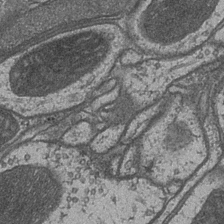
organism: Drosophila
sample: Optic medulla